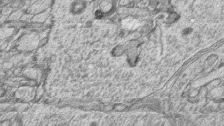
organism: Zebrafish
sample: synaptic ribbons in rod cells and cone cells